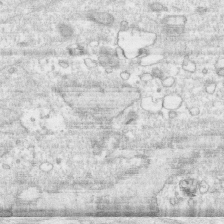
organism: Human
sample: CRL-1474